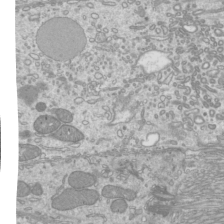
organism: Mouse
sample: Cilia; mouse epididymis